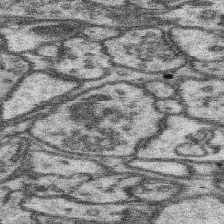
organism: Mouse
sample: Somatosensory cortex neuropil